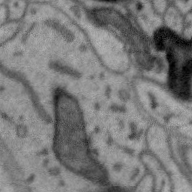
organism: Zebra finch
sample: Brain